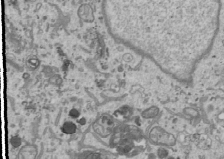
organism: Human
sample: Mitochondria in U2OS cells